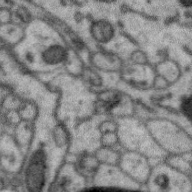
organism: Zebra finch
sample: Brain